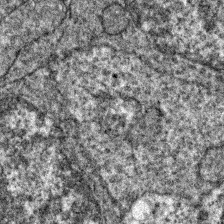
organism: Zebrafish